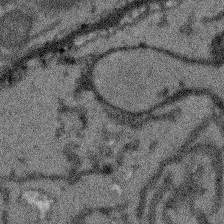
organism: Arabidopsis thaliana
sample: Root tip